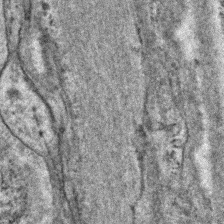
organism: C. elegans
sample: C. elegans embryo